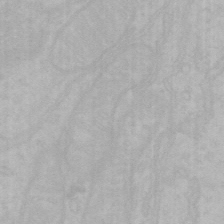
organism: Mouse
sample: Choroid plexus